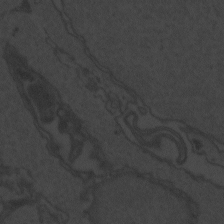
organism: Zebrafish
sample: Macrophage infected with Toxoplasma gondii